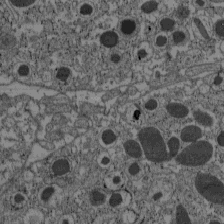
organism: C57BL Mouse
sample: Pancreatic islet